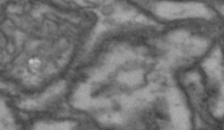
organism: Drosophila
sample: Brain